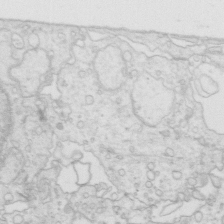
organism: Mouse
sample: Multiciliated cells